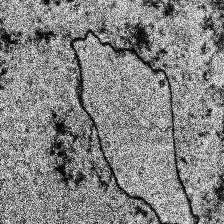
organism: Human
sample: Temporal Lobe